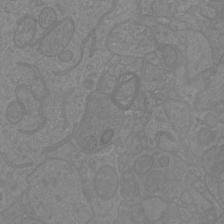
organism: Mouse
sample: Cortical neurons